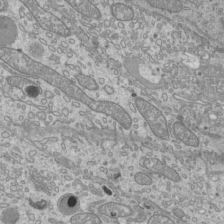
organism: Mouse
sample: Cilia; mouse epididymis